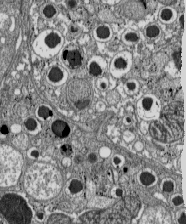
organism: C57BL Mouse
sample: Pancreatic islet